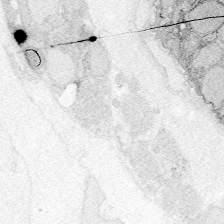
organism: Zebrafish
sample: Whole-Brain